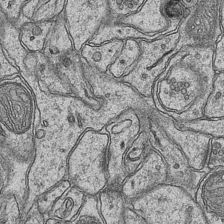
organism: Mouse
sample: CA1 Hippocampus